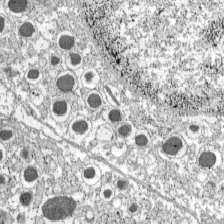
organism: C57BL Mouse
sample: Pancreatic islet